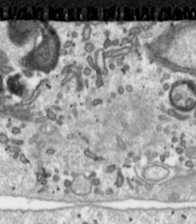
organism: Toxoplasma gondii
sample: Parasites in a vacuole inside a host cell